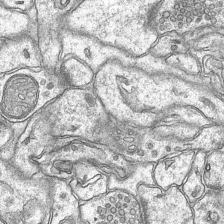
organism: Mouse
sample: CA1 Hippocampus